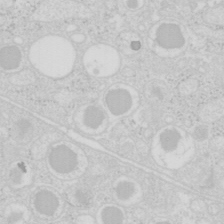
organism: Mouse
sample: Pancreas